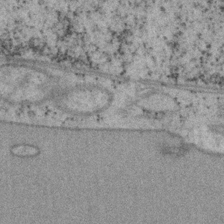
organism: Human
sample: HeLa cells